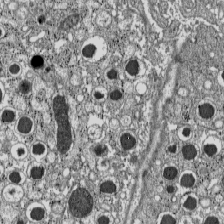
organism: C57BL Mouse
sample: Pancreatic islet